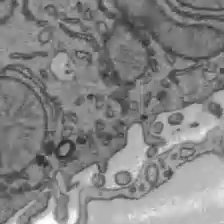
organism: C57BL Mouse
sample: Liver